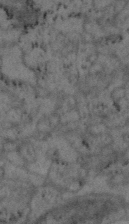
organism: Human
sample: HeLa cells